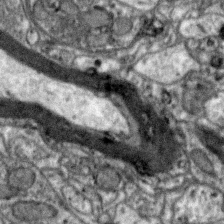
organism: Zebra finch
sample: Brain